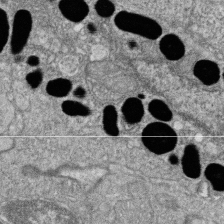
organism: Zebrafish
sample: Cilia; retinal pigment epithelium